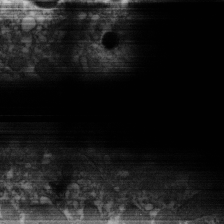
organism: Xenopus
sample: Cilia; centrioles in frog embryo cells